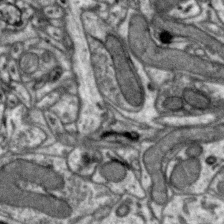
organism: Zebra finch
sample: Brain